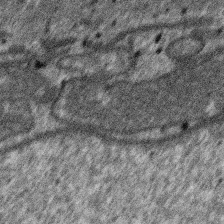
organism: Human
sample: Lung epithelial cells infected with SARS-CoV-2